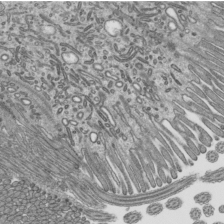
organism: Mouse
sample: Mouse epididymis efferent ductule cilia